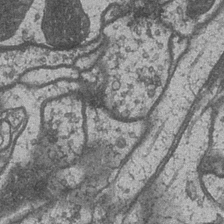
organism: Drosophila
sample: Optic medulla